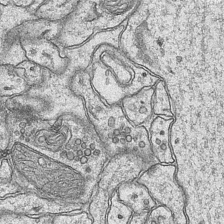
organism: Mouse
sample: CA1 Hippocampus